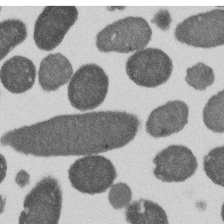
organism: E. coli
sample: Bacterial nucleoid